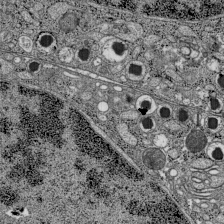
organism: C57BL Mouse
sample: Pancreatic islet